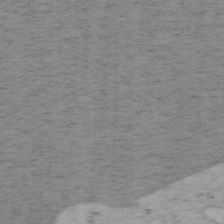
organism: Mouse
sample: OT-I killer T cells with ID8 ovarian cancer cells